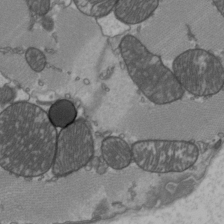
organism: C57BL Mouse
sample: Heart